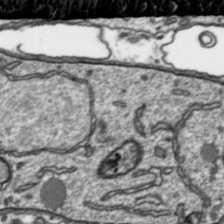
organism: Toxoplasma gondii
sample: Parasites in a vacuole inside a host cell